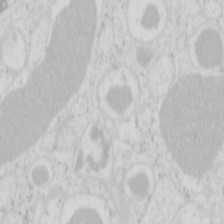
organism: Mouse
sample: Pancreas